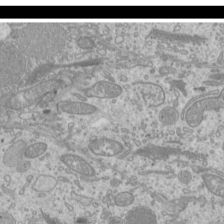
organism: Mouse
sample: Cilia; mouse epididymis